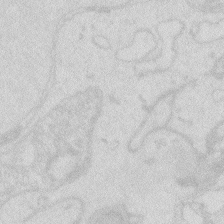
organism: Zebrafish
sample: Macrophage